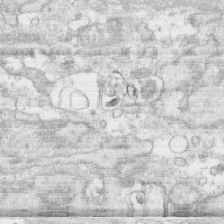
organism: Human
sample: CRL-1474